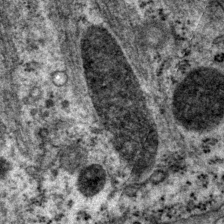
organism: P. pacificus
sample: Pharynx